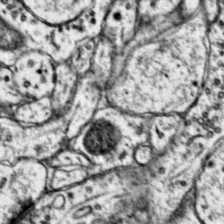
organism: Mouse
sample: Primary visual cortex